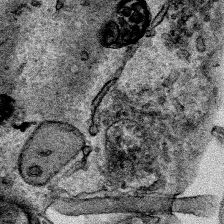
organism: Human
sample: Mitochondria in HCT116 cells